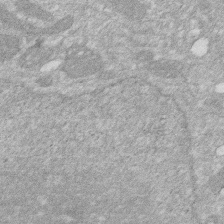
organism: Human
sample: HIV infected U937 cells